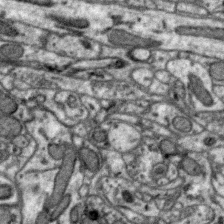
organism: Zebra finch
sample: Brain